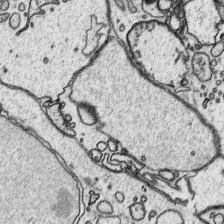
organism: Platynereis dumerilii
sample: Parapodia